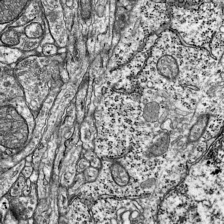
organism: Mouse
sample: Visual Cortex